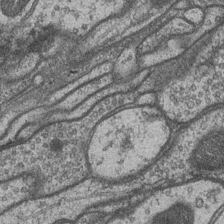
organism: Drosophila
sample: Optic medulla